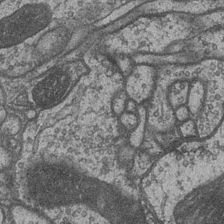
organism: Drosophila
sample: Optic medulla